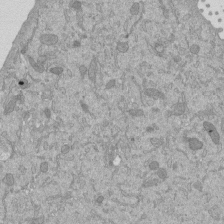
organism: Mouse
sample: ED-1 cell nuclei; centrioles